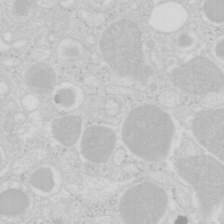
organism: Mouse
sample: Pancreas